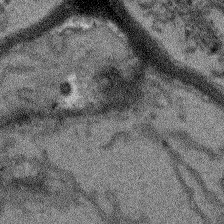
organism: Arabidopsis thaliana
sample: Root tip